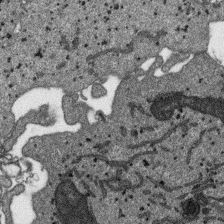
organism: Human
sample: Lung epithelial cells infected with SARS-CoV-2